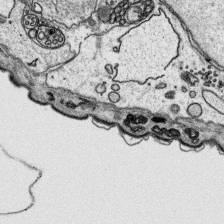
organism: Platynereis dumerilii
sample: Parapodia